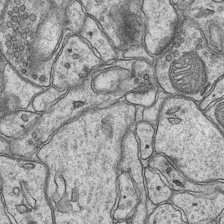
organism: Mouse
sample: CA1 Hippocampus